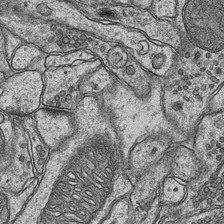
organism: Mouse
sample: CA1 Hippocampus